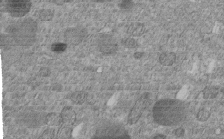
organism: C. elegans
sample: C. elegans embryo early stage